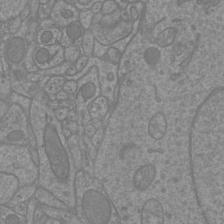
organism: Mouse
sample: Cortical neurons